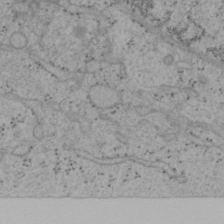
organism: Human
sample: HeLa cells